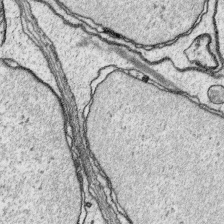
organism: Platynereis dumerilii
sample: Parapodia